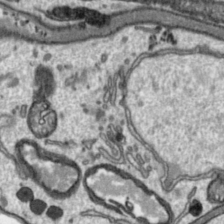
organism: Toxoplasma gondii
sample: Parasites in a vacuole inside a host cell